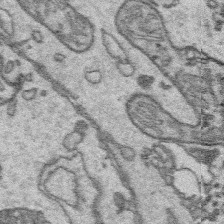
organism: Platynereis dumerilii